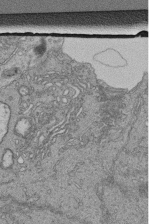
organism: Human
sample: Retinal organoid Rod and Cone cells